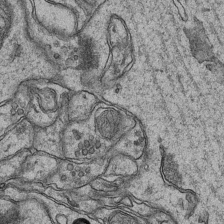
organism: Mouse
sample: CA1 Hippocampus